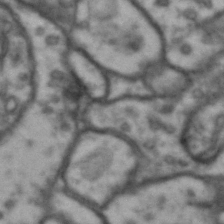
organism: Drosophila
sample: Brain